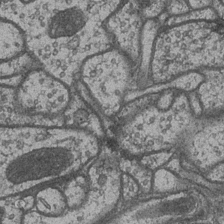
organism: Drosophila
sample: Optic medulla